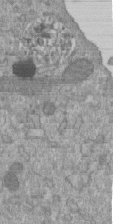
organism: Mouse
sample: ED-1 cell nuclei; centrioles